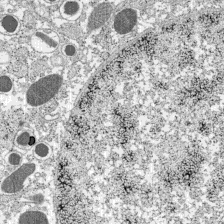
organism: C57BL Mouse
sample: Pancreatic islet